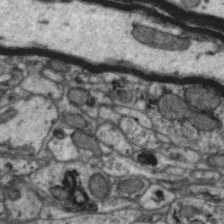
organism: Zebra finch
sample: Brain